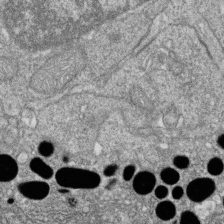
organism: Zebrafish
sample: Cilia; retinal pigment epithelium